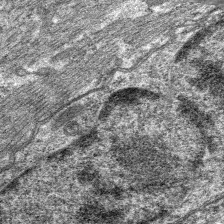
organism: C. elegans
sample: Pharynx